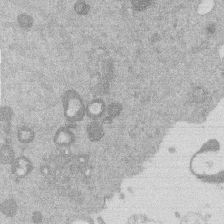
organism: Mouse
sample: Dividing mouse embryo 1 cell stage